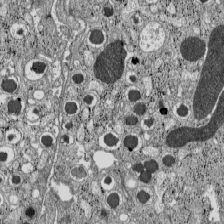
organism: C57BL Mouse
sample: Pancreatic islet